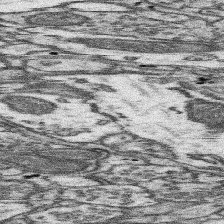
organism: Mouse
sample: Somatosensory cortex neuropil